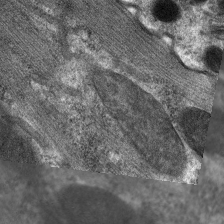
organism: C. elegans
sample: Pharynx